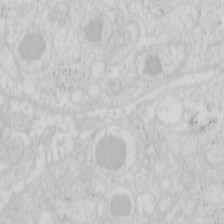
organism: Mouse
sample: Pancreas